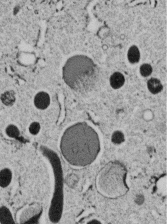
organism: C. elegans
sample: C. elegans embryo early stage